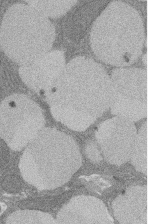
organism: Rat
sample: Salivary granule